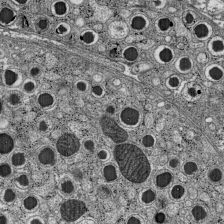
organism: C57BL Mouse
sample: Pancreatic islet